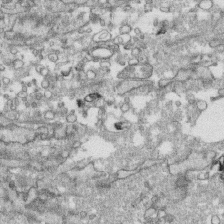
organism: Human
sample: CRL-1474